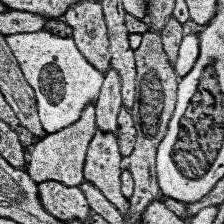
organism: Human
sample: Temporal Lobe